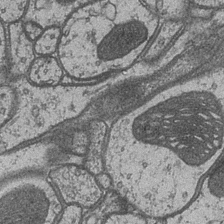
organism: Drosophila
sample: Optic medulla